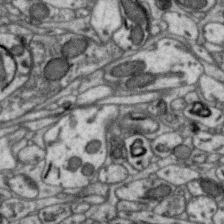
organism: Zebra finch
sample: Brain